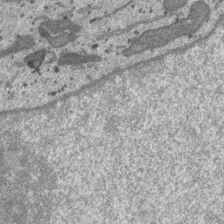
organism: Human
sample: Lung epithelial cells infected with SARS-CoV-2